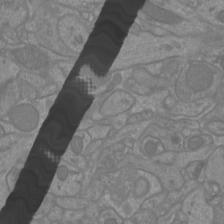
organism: Mouse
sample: Cortical neurons